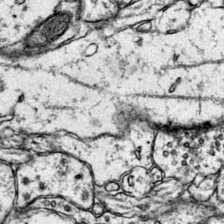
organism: Mouse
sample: Primary visual cortex